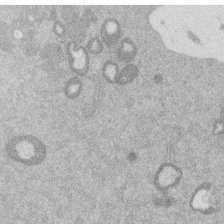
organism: Mouse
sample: Dividing mouse embryo 1 cell stage